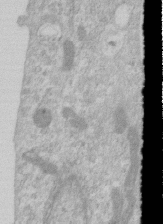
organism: Human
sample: Centriole in RPE cells